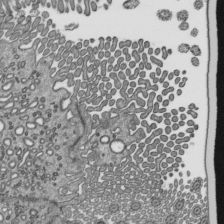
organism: Mouse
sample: Mouse epididymis efferent ductule cilia